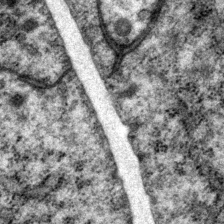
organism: P. pacificus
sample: Pharynx